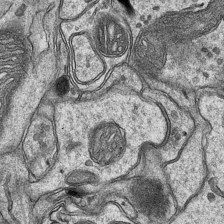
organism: Mouse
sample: CA1 Hippocampus